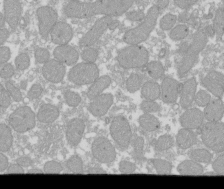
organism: Xenopus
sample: Cilia; centrioles in frog embryo cells